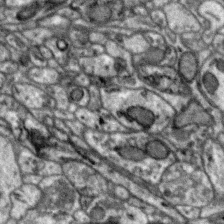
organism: Zebra finch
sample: Brain